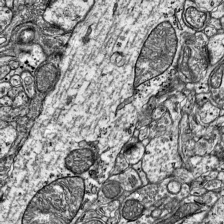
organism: Mouse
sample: Visual Cortex